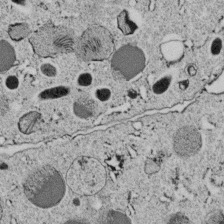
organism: C. elegans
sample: C. elegans embryo early stage